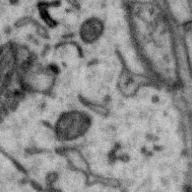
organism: Zebra finch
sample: Brain